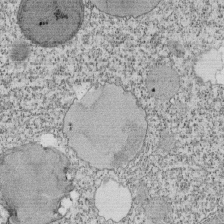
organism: Tetrahymena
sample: Cilia in tetrahymena